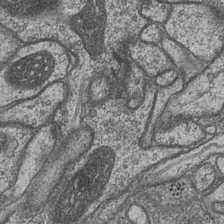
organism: Drosophila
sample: Optic medulla